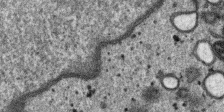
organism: Human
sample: Lung epithelial cells infected with SARS-CoV-2